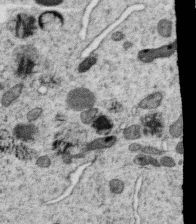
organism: C. elegans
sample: C. elegans oocyte; sperm cells